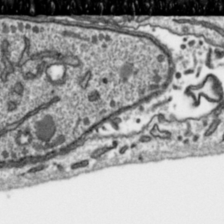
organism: Toxoplasma gondii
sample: Parasites in a vacuole inside a host cell